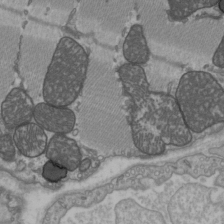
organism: C57BL Mouse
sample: Heart